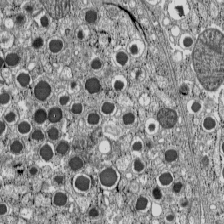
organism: C57BL Mouse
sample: Pancreatic islet